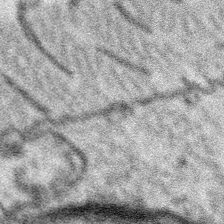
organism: Platynereis dumerilii